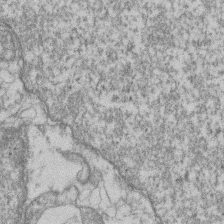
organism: Mouse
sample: T cell stromal cell synapse